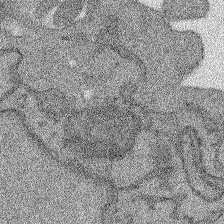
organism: Human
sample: HeLa cells